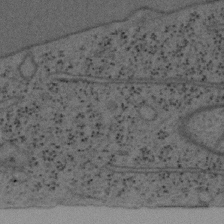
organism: Human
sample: HeLa cells